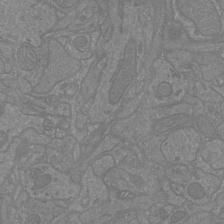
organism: Mouse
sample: Cortical neurons